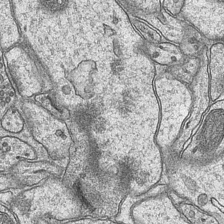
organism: Mouse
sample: CA1 Hippocampus